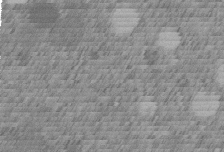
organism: C. elegans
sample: C. elegans embryo early stage